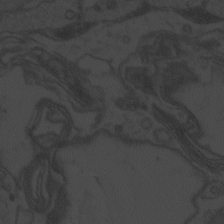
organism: Zebrafish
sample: Macrophage infected with Toxoplasma gondii